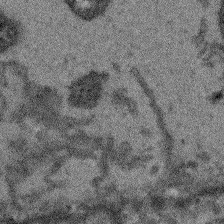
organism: Arabidopsis thaliana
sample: Root tip